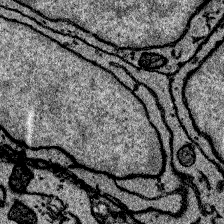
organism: Zebrafish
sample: Larval olfactory bulb